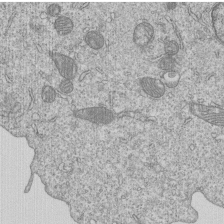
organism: Human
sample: MDA-MB-231 cells